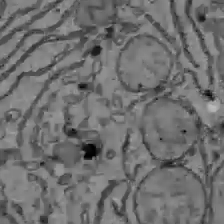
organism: C57BL Mouse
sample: Liver